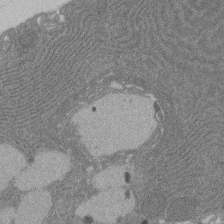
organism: Rat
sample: Salivary granule